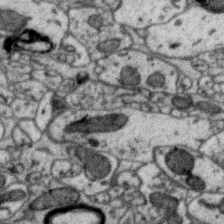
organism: Zebra finch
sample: Brain